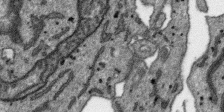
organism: Human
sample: Lung epithelial cells, uninfected (mock) control